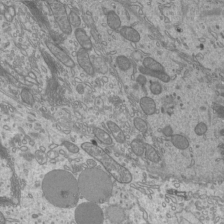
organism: Mouse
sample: Cilia; mouse epididymis